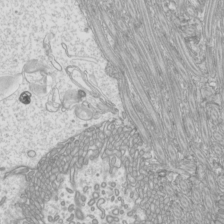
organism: Mouse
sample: Cilia; mouse epididymis